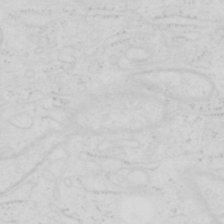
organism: Human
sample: SUM-159 cell